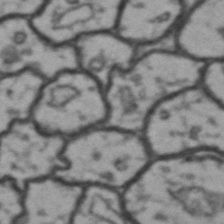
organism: Drosophila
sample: Brain